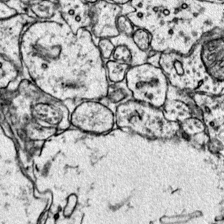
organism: Mouse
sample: Primary visual cortex